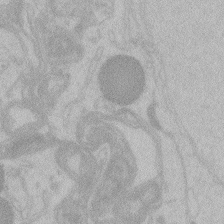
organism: Zebrafish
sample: Macrophage infected with Toxoplasma gondii